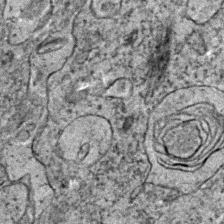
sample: Trachea